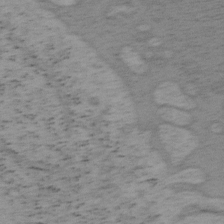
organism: Mouse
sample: OT-I killer T cells with ID8 ovarian cancer cells